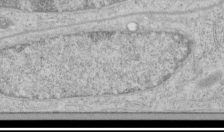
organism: Human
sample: Mitochondria in HCT116 cells